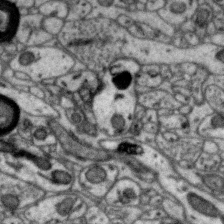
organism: Zebra finch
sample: Brain